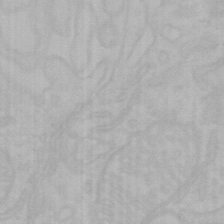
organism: Mouse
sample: Choroid plexus